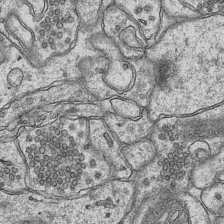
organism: Mouse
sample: CA1 Hippocampus